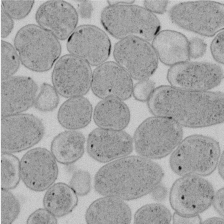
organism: E. coli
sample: Bacterial nucleoid